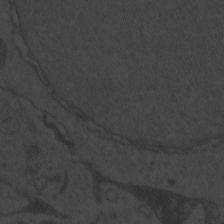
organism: Zebrafish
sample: Macrophage infected with Toxoplasma gondii